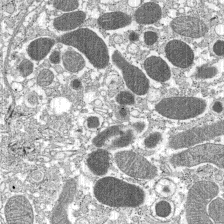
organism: C57BL Mouse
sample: Pancreatic islet